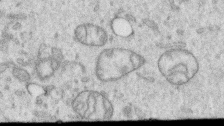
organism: Human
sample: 1205lu cells